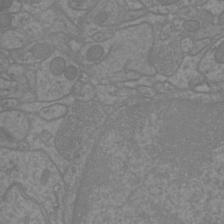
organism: Mouse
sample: Cortical neurons